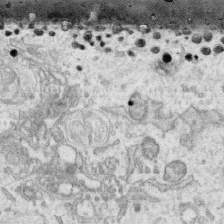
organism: Human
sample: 1205lu cells